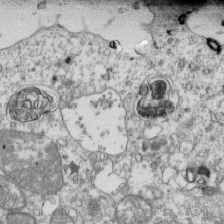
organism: Mouse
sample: Activated OT-1 CD8+ T cells